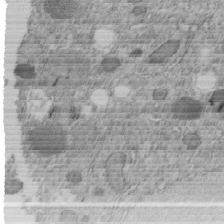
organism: C. elegans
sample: C. elegans embryo early stage